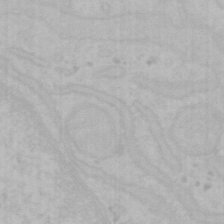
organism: Mouse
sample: Choroid plexus